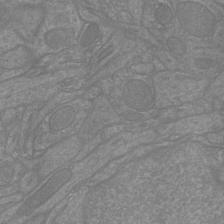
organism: Mouse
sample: Cortical neurons